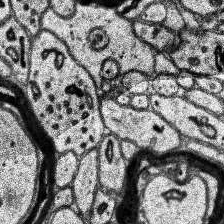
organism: Human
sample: Temporal Lobe